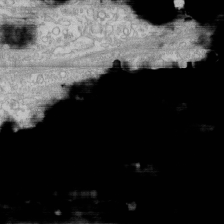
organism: Human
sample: CRL-1474